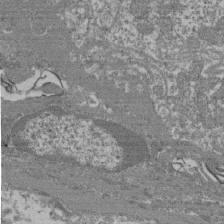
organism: Mouse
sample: Glomerulus